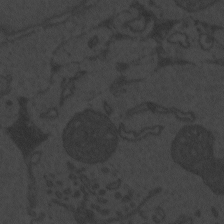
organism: Zebrafish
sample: Macrophage infected with Toxoplasma gondii